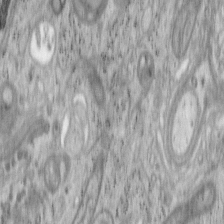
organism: Human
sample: HeLa cells